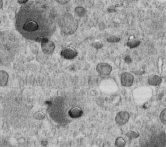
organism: C. elegans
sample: C. elegans embryo early stage